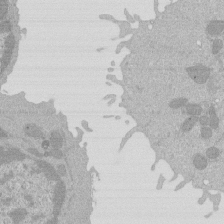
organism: Mouse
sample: Activated Pmel transgenic CD8+ T Cells